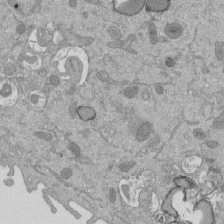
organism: Mouse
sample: ED-1 cell nuclei; centrioles